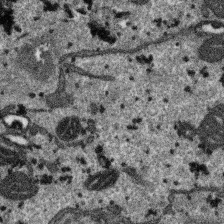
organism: Human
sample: Lung epithelial cells infected with SARS-CoV-2